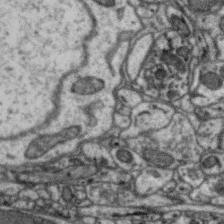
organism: Zebra finch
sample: Brain